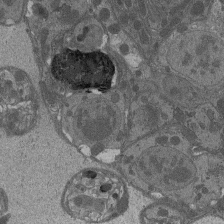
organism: Drosophila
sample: Antenna